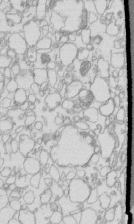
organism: Mouse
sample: Macrophages